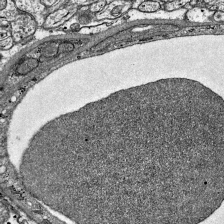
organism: Mouse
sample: Visual Cortex